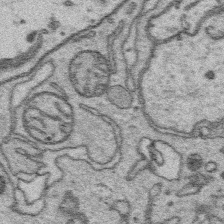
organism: Platynereis dumerilii